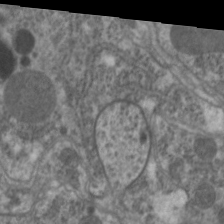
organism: C. elegans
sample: Pharynx